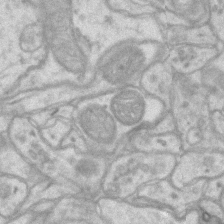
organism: Mouse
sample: CA1 Hippocampus